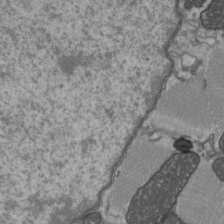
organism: C57BL Mouse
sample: Heart